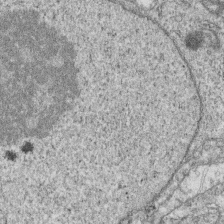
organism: Human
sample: HeLa cell HIV synapse